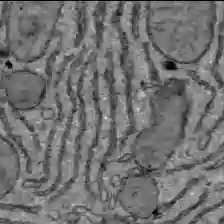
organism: C57BL Mouse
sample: Liver